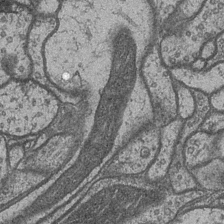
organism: Drosophila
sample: Optic medulla